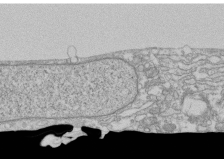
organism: Human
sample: CRL-1474